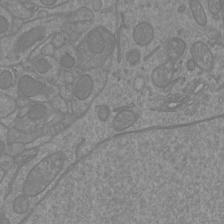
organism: Mouse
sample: Cortical neurons